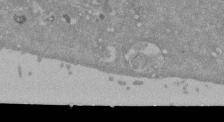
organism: Mouse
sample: ED-1 cell nuclei; centrioles